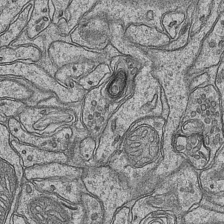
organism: Mouse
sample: CA1 Hippocampus